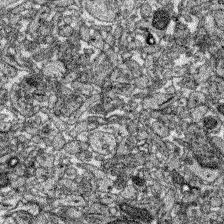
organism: Zebrafish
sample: Larval olfactory bulb